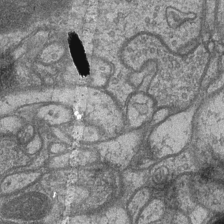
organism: Drosophila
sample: Optic medulla